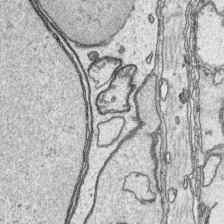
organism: Platynereis dumerilii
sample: Parapodia